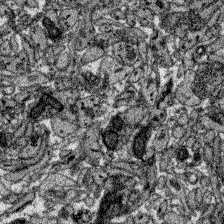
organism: Zebrafish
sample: Larval olfactory bulb